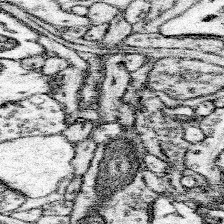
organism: Mouse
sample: Somatosensory cortex neuropil